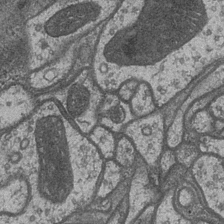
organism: Drosophila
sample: Optic medulla